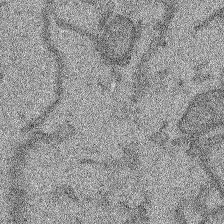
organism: Human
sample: HeLa cells